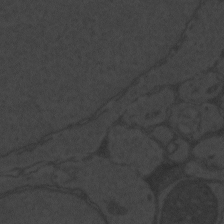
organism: Zebrafish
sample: Macrophage infected with Toxoplasma gondii